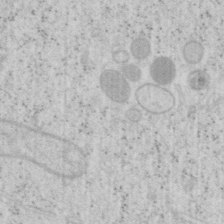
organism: Human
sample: HeLa cells